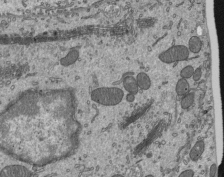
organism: Mouse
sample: Mouse epididymis efferent ductule cilia